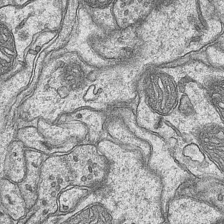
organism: Mouse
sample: CA1 Hippocampus